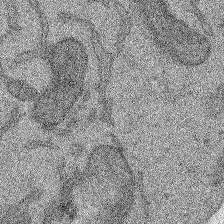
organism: Human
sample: HeLa cells